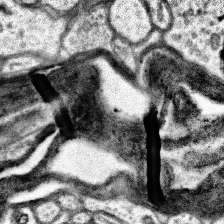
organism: Human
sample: Temporal Lobe